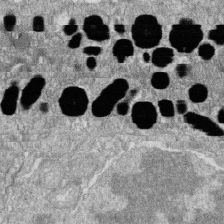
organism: Zebrafish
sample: Cilia; retinal pigment epithelium